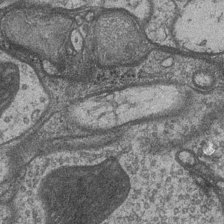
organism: Drosophila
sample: Optic medulla